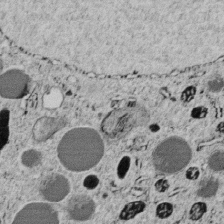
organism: C. elegans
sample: C. elegans embryo early stage